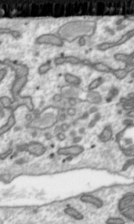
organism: Toxoplasma gondii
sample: Parasites in a vacuole inside a host cell